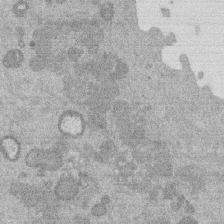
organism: Mouse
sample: Dividing mouse embryo 1 cell stage